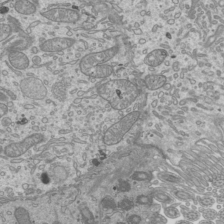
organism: Mouse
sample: Cilia; mouse epididymis